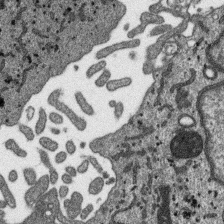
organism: Human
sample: Lung epithelial cells infected with SARS-CoV-2